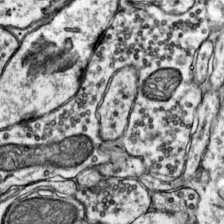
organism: Mouse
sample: Primary visual cortex